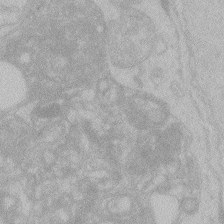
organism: Zebrafish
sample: Macrophage infected with Toxoplasma gondii